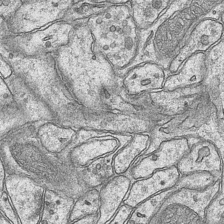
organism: Mouse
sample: CA1 Hippocampus